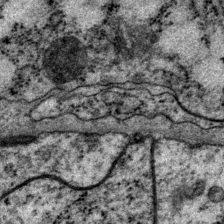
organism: P. pacificus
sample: Pharynx